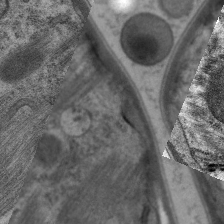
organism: C. elegans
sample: Pharynx